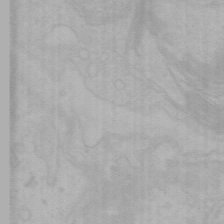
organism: Mouse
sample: Choroid plexus